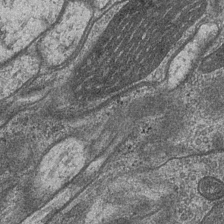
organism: Drosophila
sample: Optic medulla